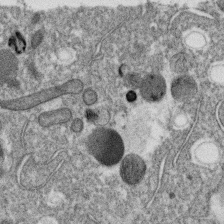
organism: C. elegans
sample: C. elegans oocyte; sperm cells